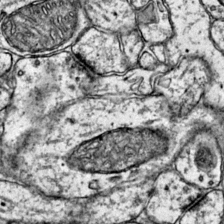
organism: Mouse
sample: Primary visual cortex